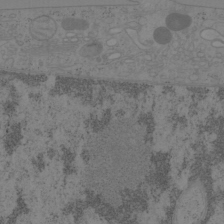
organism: Human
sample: HeLa cells